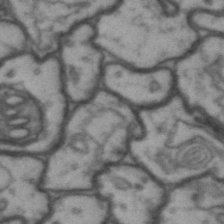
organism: Drosophila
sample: Brain